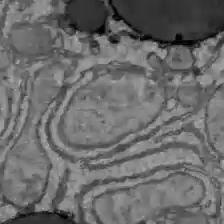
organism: C57BL Mouse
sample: Liver